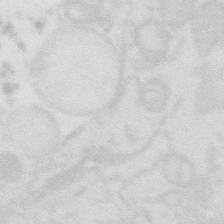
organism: Human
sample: HeLa cells